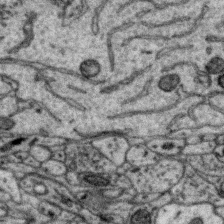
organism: Zebra finch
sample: Brain